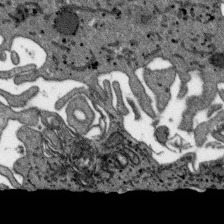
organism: Human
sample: Lung epithelial cells, uninfected (mock) control